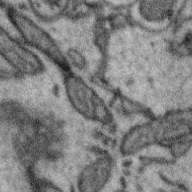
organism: Zebra finch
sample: Brain